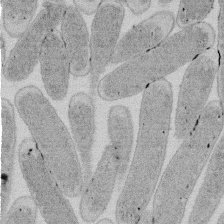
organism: E. coli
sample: Bacterial nucleoid